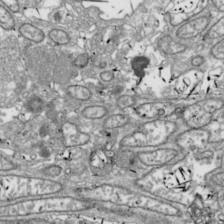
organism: Drosophila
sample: Cell division; meiosis; drosophila spermatocytes